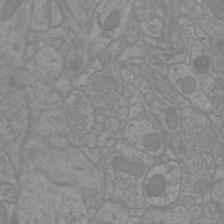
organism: Mouse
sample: Cortical neurons